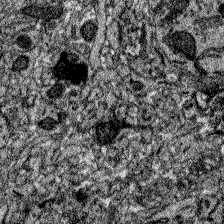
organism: Zebrafish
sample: Larval olfactory bulb